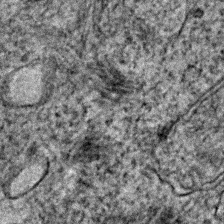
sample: Trachea